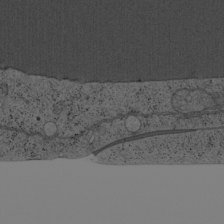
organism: African green monkey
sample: COS-7 cells